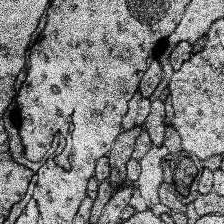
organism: Human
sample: Temporal Lobe